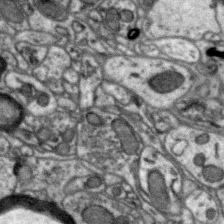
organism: Zebra finch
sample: Brain